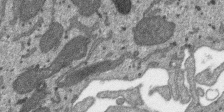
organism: Human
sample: Lung epithelial cells infected with SARS-CoV-2